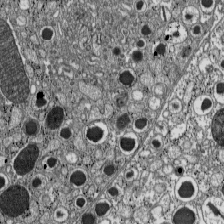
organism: C57BL Mouse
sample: Pancreatic islet